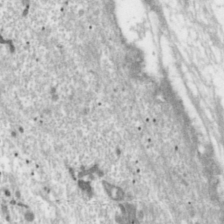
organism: Toxoplasma gondii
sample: Parasites in a vacuole inside a host cell